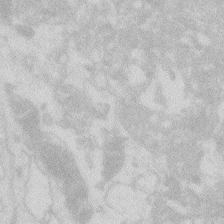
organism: Zebrafish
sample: Macrophage